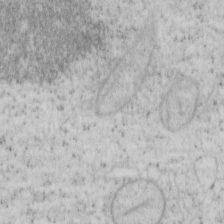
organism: Human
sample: HeLa cells